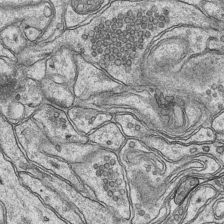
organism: Mouse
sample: CA1 Hippocampus